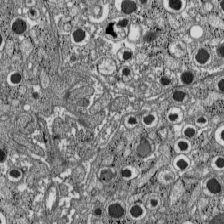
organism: C57BL Mouse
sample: Pancreatic islet